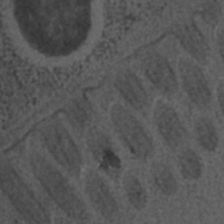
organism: C. elegans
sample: C. elegans embryo